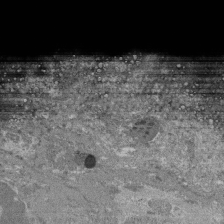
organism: Mouse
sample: Glomerulus